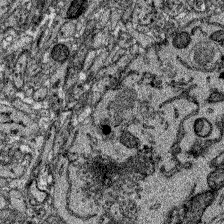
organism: Zebrafish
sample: Larval olfactory bulb